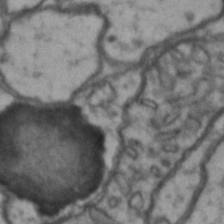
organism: Drosophila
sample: Brain